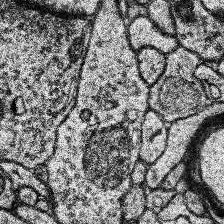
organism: Human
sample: Temporal Lobe